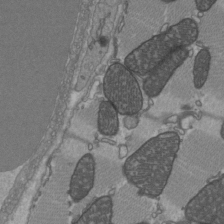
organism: C57BL Mouse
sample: Heart